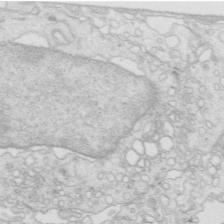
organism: Mouse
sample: Multiciliated cells